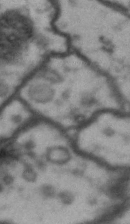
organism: Drosophila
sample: Brain